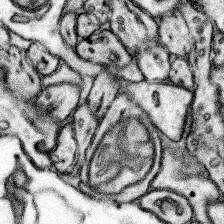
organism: Mouse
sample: Somatosensory cortex neuropil